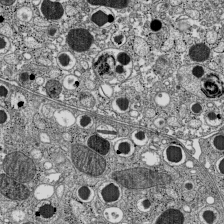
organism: C57BL Mouse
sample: Pancreatic islet